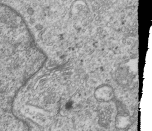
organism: Human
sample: MDA-MB-231 cells